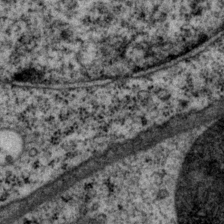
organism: P. pacificus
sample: Pharynx